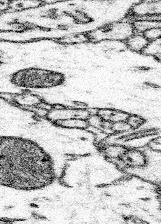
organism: Mouse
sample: Somatosensory cortex neuropil